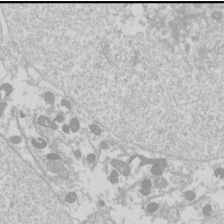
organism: Drosophila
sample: Cell division; meiosis; drosophila spermatocytes